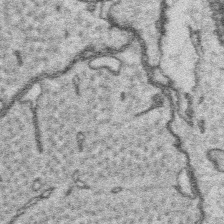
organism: Platynereis dumerilii